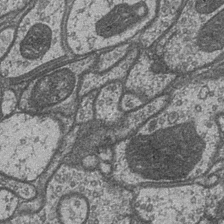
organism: Drosophila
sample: Optic medulla